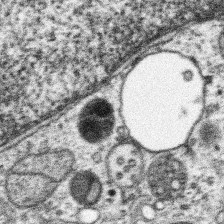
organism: Human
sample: HeLa cells